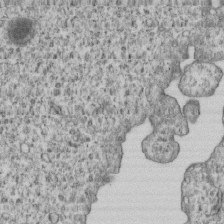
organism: Human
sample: MDA-MB-231 cells